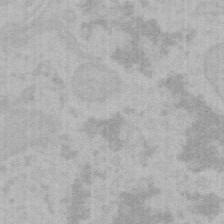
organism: Mouse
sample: Choroid plexus